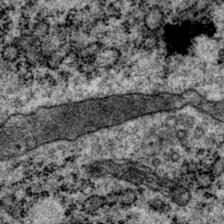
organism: P. pacificus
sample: Pharynx